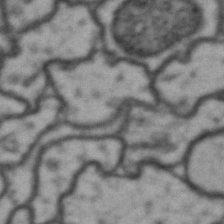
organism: Drosophila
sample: Brain